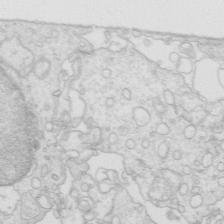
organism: Mouse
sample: Multiciliated cells